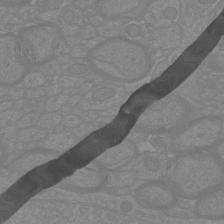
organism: Mouse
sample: Cortical neurons